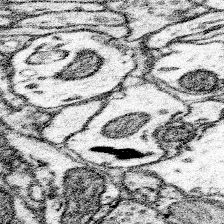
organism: Mouse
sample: Somatosensory cortex neuropil